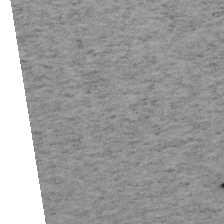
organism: Mouse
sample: OT-I killer T cells with ID8 ovarian cancer cells